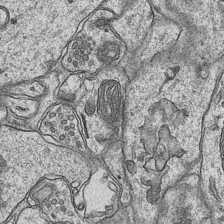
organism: Mouse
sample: CA1 Hippocampus